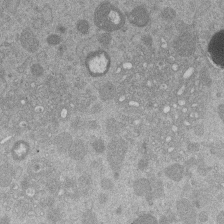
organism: Mouse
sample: Dividing mouse embryo 1 cell stage